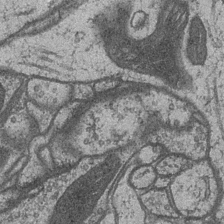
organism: Drosophila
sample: Optic medulla